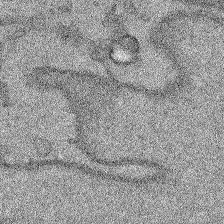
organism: Human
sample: HeLa cells